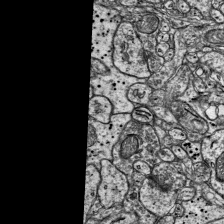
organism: Mouse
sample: Visual Cortex